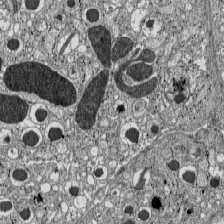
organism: C57BL Mouse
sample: Pancreatic islet